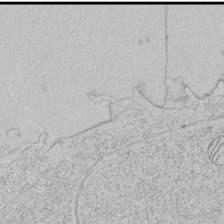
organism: Human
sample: Mitochondria in HCT116 cells